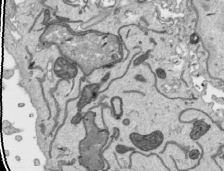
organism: Human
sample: Mitochondria in HCT116 cells